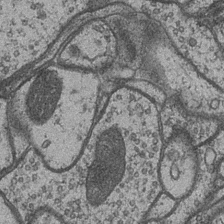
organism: Drosophila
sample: Optic medulla